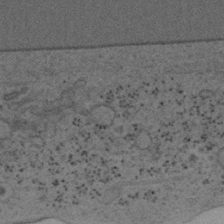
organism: Human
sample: HeLa cells